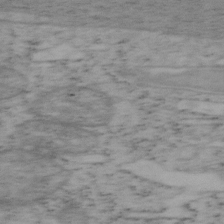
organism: Mouse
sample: OT-I killer T cells with ID8 ovarian cancer cells